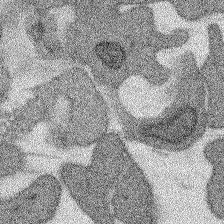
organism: Human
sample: HeLa cells